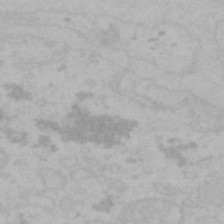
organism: Mouse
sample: Choroid plexus